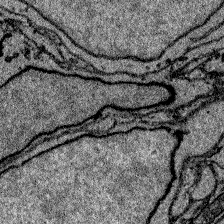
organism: Zebrafish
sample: Larval olfactory bulb